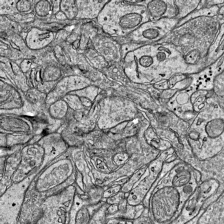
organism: Mouse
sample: Visual Cortex